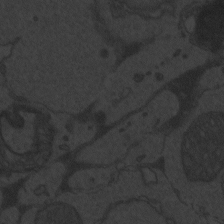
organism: Zebrafish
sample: Macrophage infected with Toxoplasma gondii